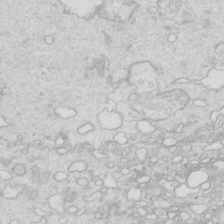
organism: Mouse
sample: Multiciliated cells